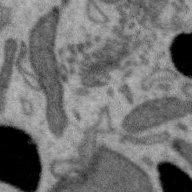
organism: Zebra finch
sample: Brain